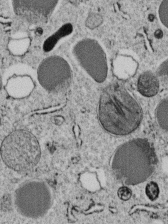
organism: C. elegans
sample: C. elegans embryo early stage